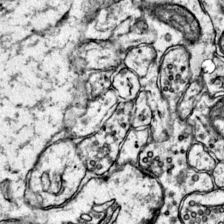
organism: Mouse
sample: Primary visual cortex